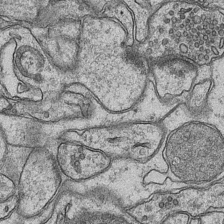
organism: Mouse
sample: CA1 Hippocampus